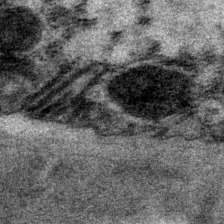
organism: P. pacificus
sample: Pharynx